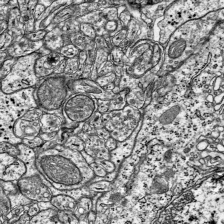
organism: Mouse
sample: Visual Cortex